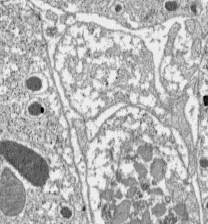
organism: C57BL Mouse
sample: Pancreatic islet